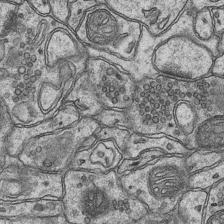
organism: Mouse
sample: CA1 Hippocampus